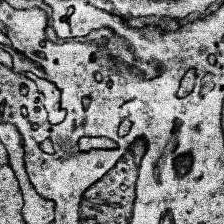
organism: Human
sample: Temporal Lobe